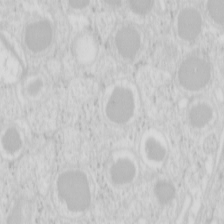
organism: Mouse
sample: Pancreas